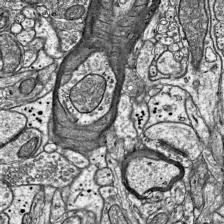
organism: Mouse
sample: Visual Cortex